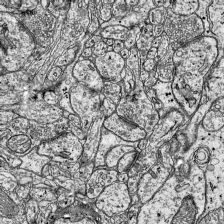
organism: Mouse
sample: Visual Cortex